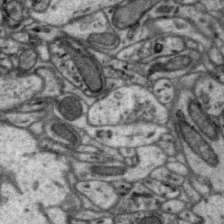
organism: Zebra finch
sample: Brain